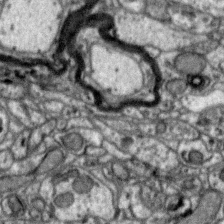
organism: Zebra finch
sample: Brain